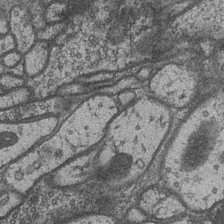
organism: Drosophila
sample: Optic medulla